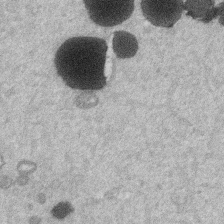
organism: Mouse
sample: Dividing mouse embryo 1 cell stage